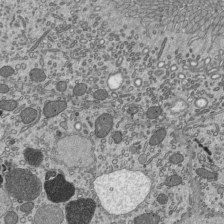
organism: Mouse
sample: Mouse epididymis efferent ductule cilia